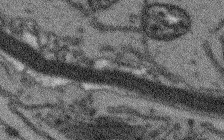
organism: Arabidopsis thaliana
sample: Root tip